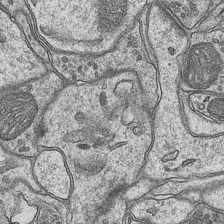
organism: Mouse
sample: CA1 Hippocampus